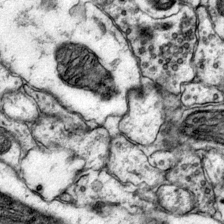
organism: Mouse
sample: Primary visual cortex